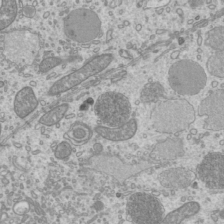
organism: Mouse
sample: Cilia; mouse epididymis